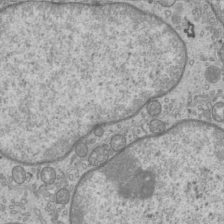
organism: Mouse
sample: Cilia; mouse epididymis